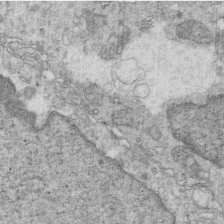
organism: Mouse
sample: Multiciliated cells